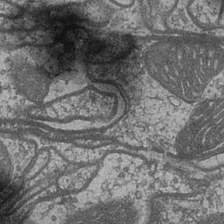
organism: Drosophila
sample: Optic medulla